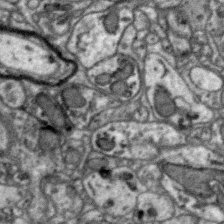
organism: Zebra finch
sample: Brain